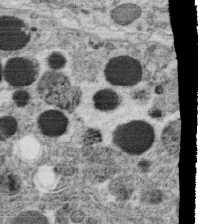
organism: C. elegans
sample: C. elegans oocyte; sperm cells